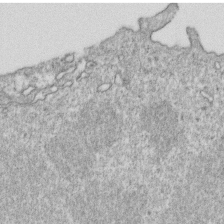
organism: Mouse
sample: Activated OT-1 CD8+ T cells